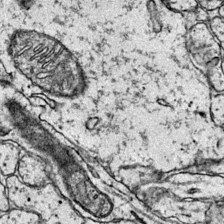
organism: Mouse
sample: Primary visual cortex